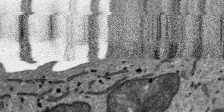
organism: Human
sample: Lung epithelial cells, uninfected (mock) control